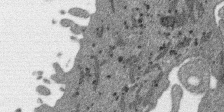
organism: Human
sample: Lung epithelial cells infected with SARS-CoV-2